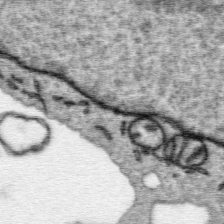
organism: Human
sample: HeLa cells